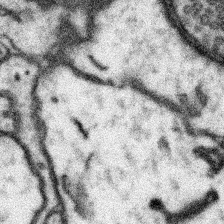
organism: Mouse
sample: Somatosensory cortex neuropil